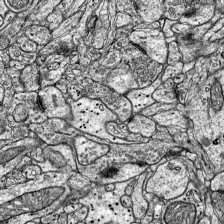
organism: Mouse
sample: Visual Cortex